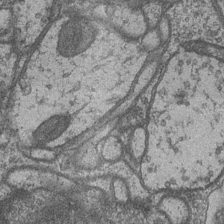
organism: Drosophila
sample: Optic medulla